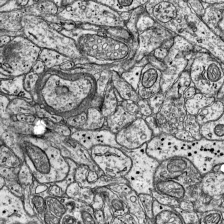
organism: Mouse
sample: Visual Cortex